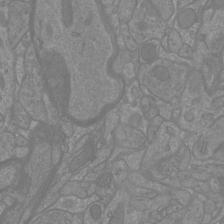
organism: Mouse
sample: Cortical neurons